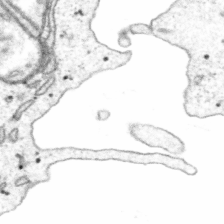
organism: Human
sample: HeLa cells